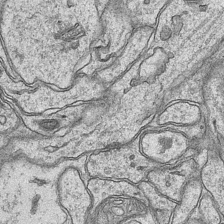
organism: Mouse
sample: CA1 Hippocampus